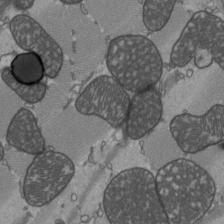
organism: C57BL Mouse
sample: Heart